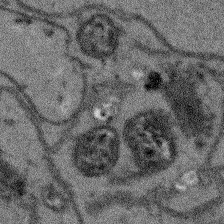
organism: Arabidopsis thaliana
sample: Root tip